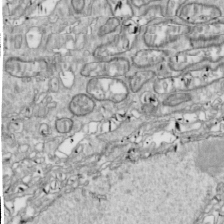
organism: Drosophila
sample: Cell division; meiosis; drosophila spermatocytes